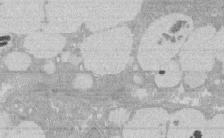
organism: Rat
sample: Salivary granule